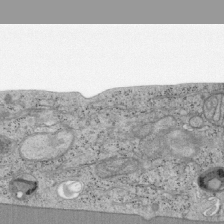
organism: Human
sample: HeLa cells